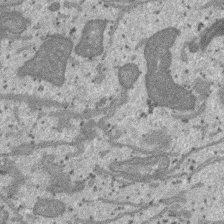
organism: Human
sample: Lung epithelial cells infected with SARS-CoV-2